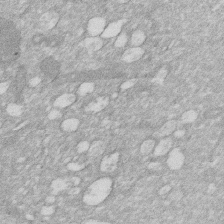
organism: Human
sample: HIV infected U937 cells